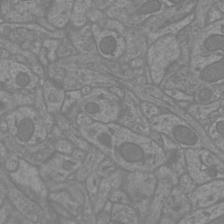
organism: Mouse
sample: Cortical neurons